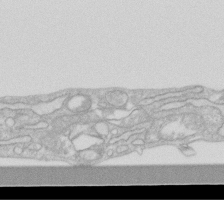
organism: Human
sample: Fibroblast cells